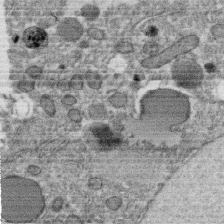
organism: C. elegans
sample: C. elegans oocyte; sperm cells